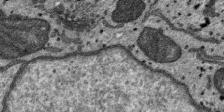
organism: Human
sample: Lung epithelial cells, uninfected (mock) control